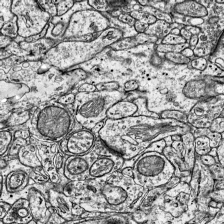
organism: Mouse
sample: Visual Cortex